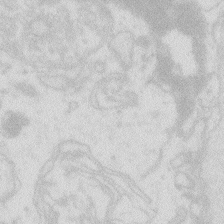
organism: Zebrafish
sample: Macrophage